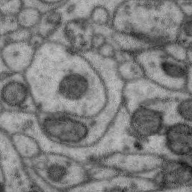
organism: Zebra finch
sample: Brain